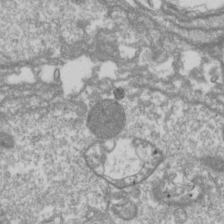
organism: Drosophila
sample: Cell division; meiosis; drosophila spermatocytes